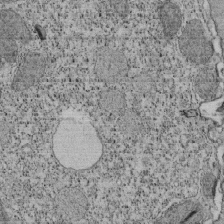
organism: Tetrahymena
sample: Cilia in tetrahymena